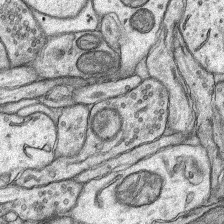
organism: Rat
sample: Hippocampus